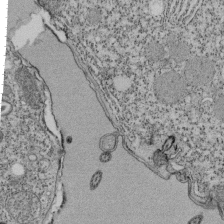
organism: Tetrahymena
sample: Cilia in tetrahymena